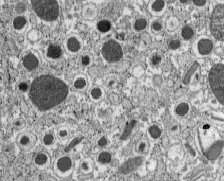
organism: C57BL Mouse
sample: Pancreatic islet